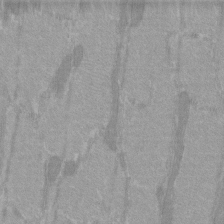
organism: C57BL Mouse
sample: Tibialis anterior muscle cell